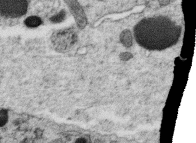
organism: C. elegans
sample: C. elegans oocyte; sperm cells